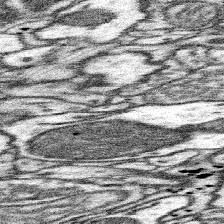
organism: Mouse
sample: Somatosensory cortex neuropil